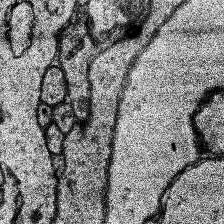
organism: Human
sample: Temporal Lobe